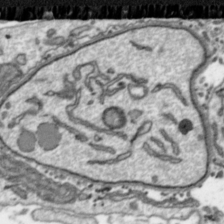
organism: Toxoplasma gondii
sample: Parasites in a vacuole inside a host cell